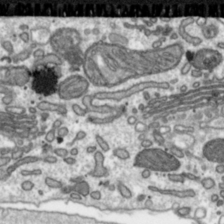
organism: Toxoplasma gondii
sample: Parasites in a vacuole inside a host cell